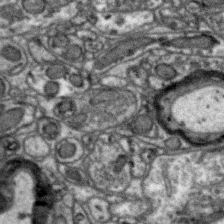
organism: Zebra finch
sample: Brain